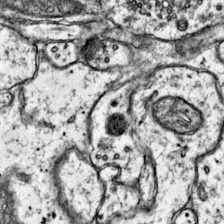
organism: Mouse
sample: Primary visual cortex